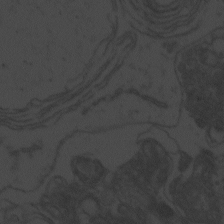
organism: Zebrafish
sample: Macrophage infected with Toxoplasma gondii